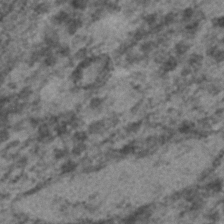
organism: C. elegans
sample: C. elegans embryo